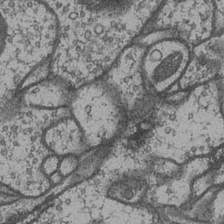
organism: Drosophila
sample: Optic medulla